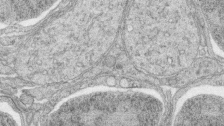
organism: Zebrafish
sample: synaptic ribbons in rod cells and cone cells